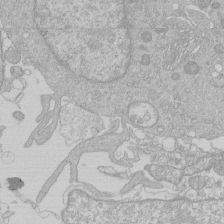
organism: Human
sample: Macrophage cells